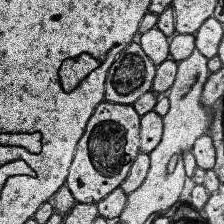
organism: Human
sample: Temporal Lobe